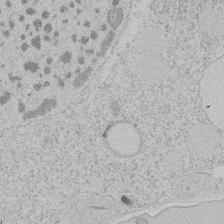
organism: Tetrahymena